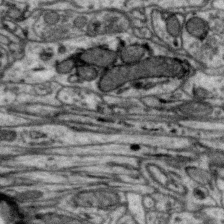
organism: Zebra finch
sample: Brain